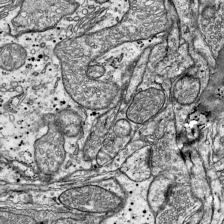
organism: Mouse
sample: Visual Cortex